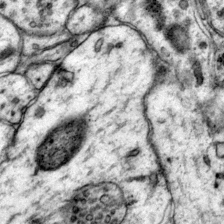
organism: Mouse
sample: Primary visual cortex